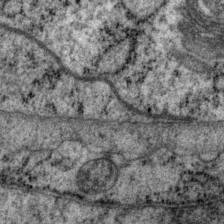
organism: P. pacificus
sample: Pharynx